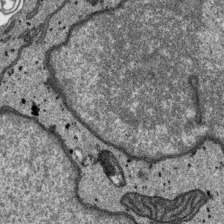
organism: Human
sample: Lung epithelial cells, uninfected (mock) control